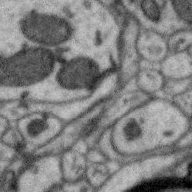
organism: Zebra finch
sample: Brain